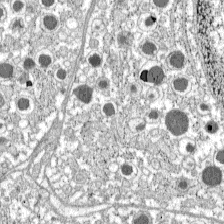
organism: C57BL Mouse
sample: Pancreatic islet